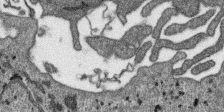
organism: Human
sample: Lung epithelial cells infected with SARS-CoV-2